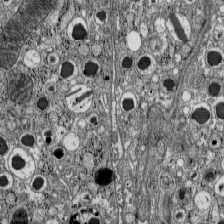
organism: C57BL Mouse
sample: Pancreatic islet